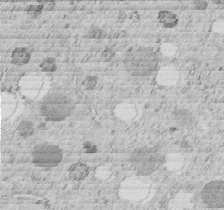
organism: C. elegans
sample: C. elegans embryo early stage